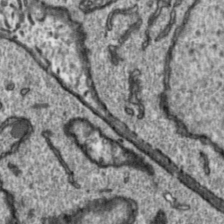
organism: Toxoplasma gondii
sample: Parasites in a vacuole inside a host cell